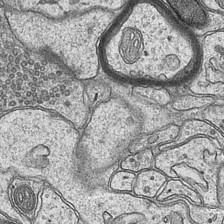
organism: Mouse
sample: CA1 Hippocampus